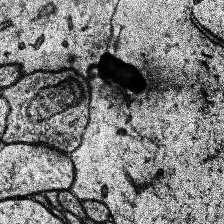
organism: Human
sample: Temporal Lobe